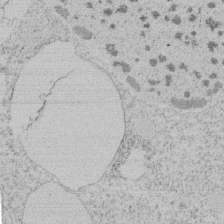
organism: Tetrahymena